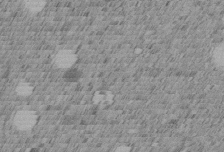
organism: C. elegans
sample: C. elegans embryo early stage